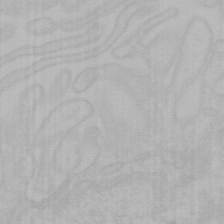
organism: Mouse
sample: Choroid plexus